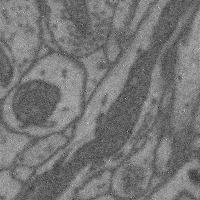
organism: Mouse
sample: Cerebral cortex